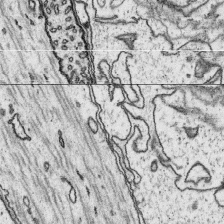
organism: Platynereis dumerilii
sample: Parapodia